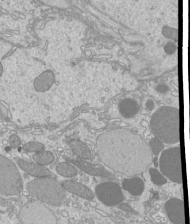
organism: Mouse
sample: Cilia; mouse epididymis